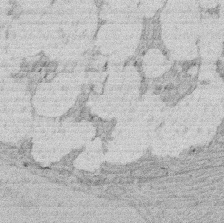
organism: Rat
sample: Salivary granule